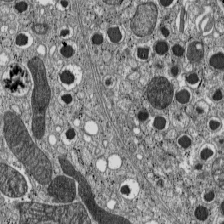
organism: C57BL Mouse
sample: Pancreatic islet